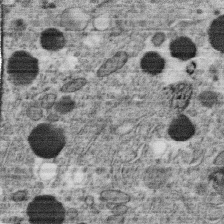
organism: C. elegans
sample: C. elegans oocyte; sperm cells